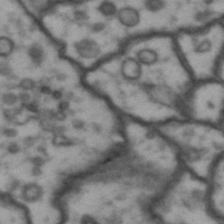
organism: Drosophila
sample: Brain